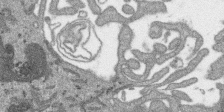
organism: Human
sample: Lung epithelial cells infected with SARS-CoV-2